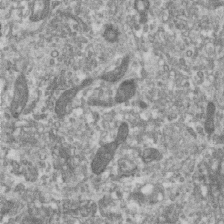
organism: Human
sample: Centriole in RPE cells